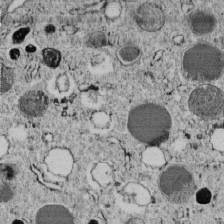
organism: C. elegans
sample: C. elegans embryo early stage